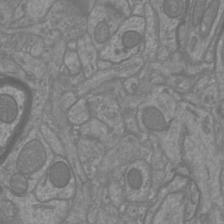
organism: Mouse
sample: Cortical neurons